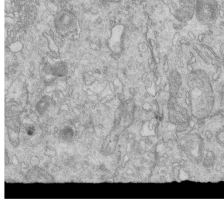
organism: Mouse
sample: Multiciliated cells